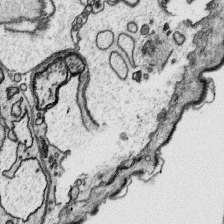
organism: Platynereis dumerilii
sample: Parapodia